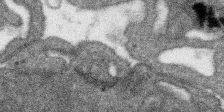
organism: Human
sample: Lung epithelial cells infected with SARS-CoV-2